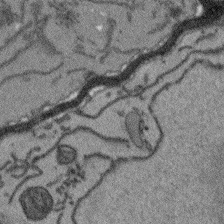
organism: Arabidopsis thaliana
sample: Root tip